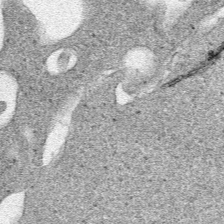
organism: Human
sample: Mitochondria in HCT116 cells